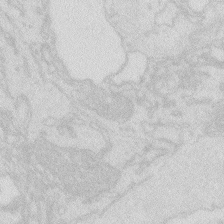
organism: Zebrafish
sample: Macrophage